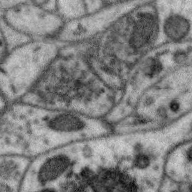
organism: Zebra finch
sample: Brain